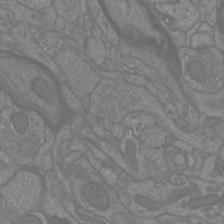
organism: Mouse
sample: Cortical neurons